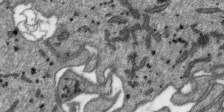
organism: Human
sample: Lung epithelial cells, uninfected (mock) control